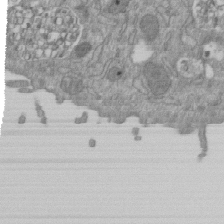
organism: Mouse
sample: ED-1 cell nuclei; centrioles